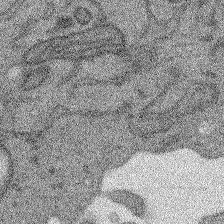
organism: Human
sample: HeLa cells